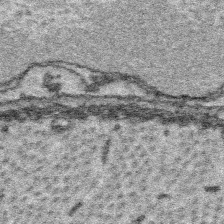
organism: Platynereis dumerilii